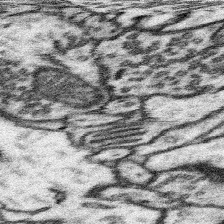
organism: Mouse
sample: Somatosensory cortex neuropil